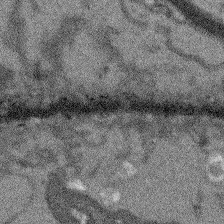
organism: Arabidopsis thaliana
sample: Root tip